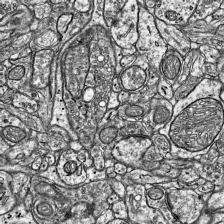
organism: Mouse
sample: Visual Cortex